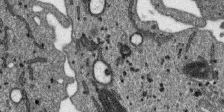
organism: Human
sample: Lung epithelial cells infected with SARS-CoV-2